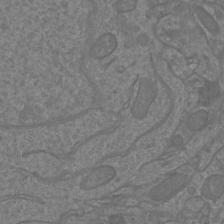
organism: Mouse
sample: Cortical neurons